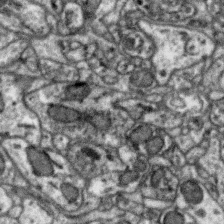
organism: Zebra finch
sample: Brain